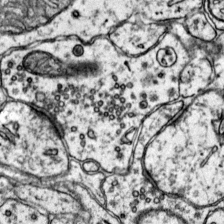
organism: Mouse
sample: Primary visual cortex